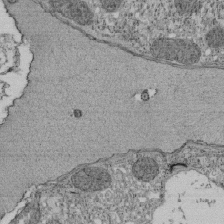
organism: Tetrahymena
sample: Cilia in tetrahymena